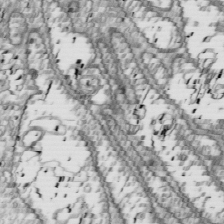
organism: Drosophila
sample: Cell division; meiosis; drosophila spermatocytes